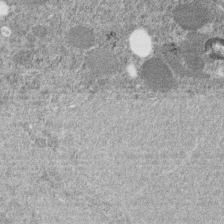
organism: C. elegans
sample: C. elegans embryo early stage